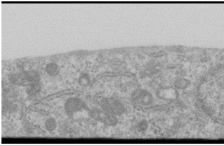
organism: Human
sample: Cilia; basal body in RPE cells